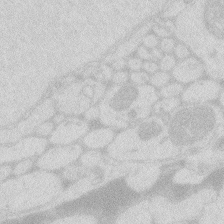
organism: Zebrafish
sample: Macrophage